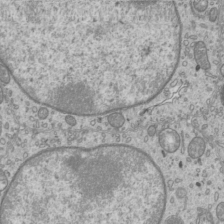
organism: Mouse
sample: Cilia; mouse epididymis